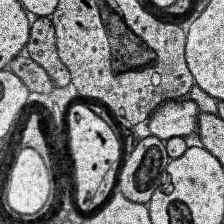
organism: Human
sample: Temporal Lobe